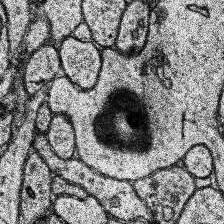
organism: Human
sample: Temporal Lobe